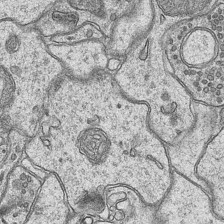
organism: Mouse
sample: CA1 Hippocampus